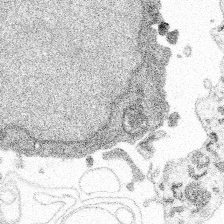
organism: Spongilla lacustris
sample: Multiple